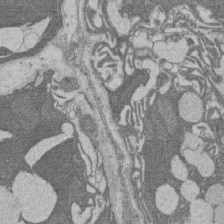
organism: Rat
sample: Salivary granule